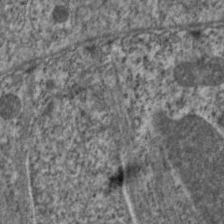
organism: C. elegans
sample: Pharynx